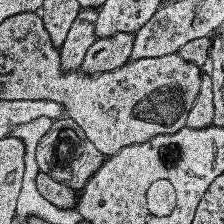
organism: Human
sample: Temporal Lobe